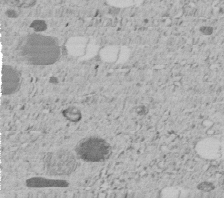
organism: C. elegans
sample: C. elegans embryo early stage